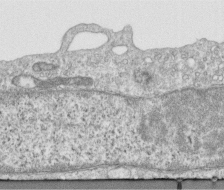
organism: Human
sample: Centriole in RPE cells